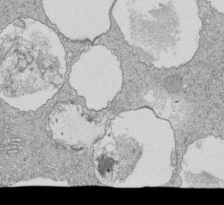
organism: Tetrahymena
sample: Cilia in tetrahymena